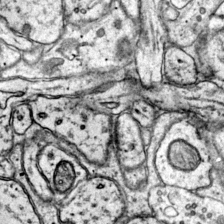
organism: Mouse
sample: Primary visual cortex